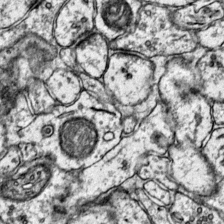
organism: Mouse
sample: Primary visual cortex